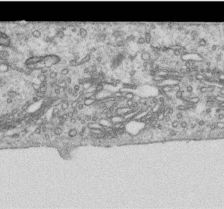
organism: Human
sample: Centriole in RPE cells